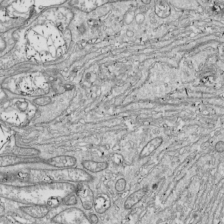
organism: Drosophila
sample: Cell division; meiosis; drosophila spermatocytes